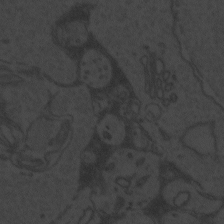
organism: Zebrafish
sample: Macrophage infected with Toxoplasma gondii